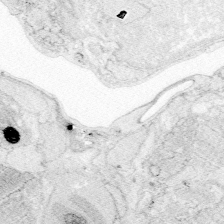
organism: Zebrafish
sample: Whole-Brain